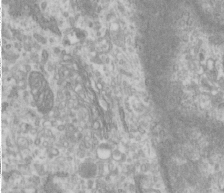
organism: Human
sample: Cilia; basal body in RPE cells